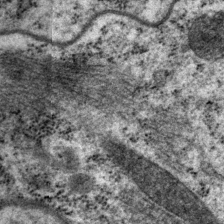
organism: P. pacificus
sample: Pharynx